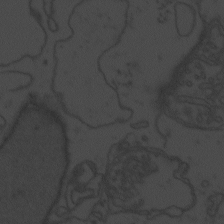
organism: Zebrafish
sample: Macrophage infected with Toxoplasma gondii